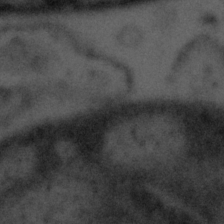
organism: Tuwongella immobilis